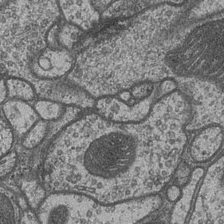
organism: Drosophila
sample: Optic medulla